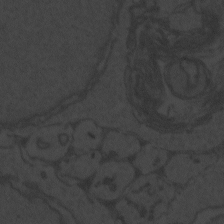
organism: Zebrafish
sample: Macrophage infected with Toxoplasma gondii